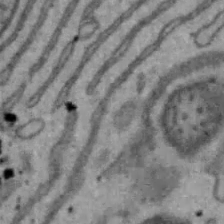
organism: Mouse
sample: Liver